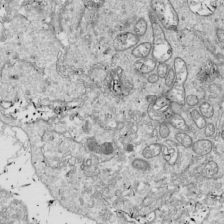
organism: Drosophila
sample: Cell division; meiosis; drosophila spermatocytes